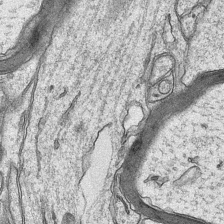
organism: Mouse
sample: CA1 Hippocampus